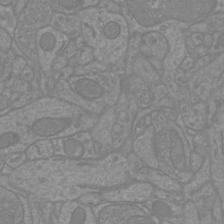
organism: Mouse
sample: Cortical neurons